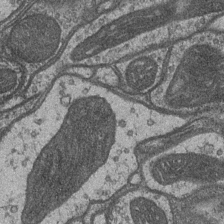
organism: Drosophila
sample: Optic medulla